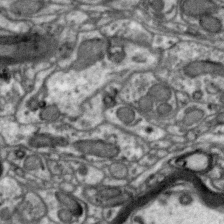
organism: Zebra finch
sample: Brain